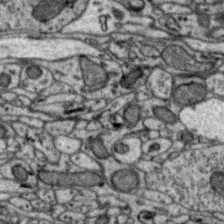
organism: Zebra finch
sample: Brain